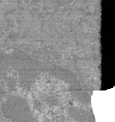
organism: Mouse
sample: Glomerulus